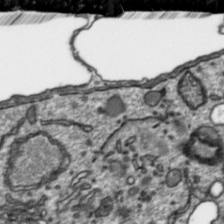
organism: Toxoplasma gondii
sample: Parasites in a vacuole inside a host cell